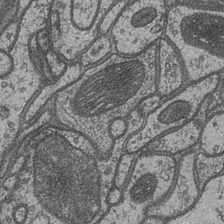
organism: Drosophila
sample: Optic medulla